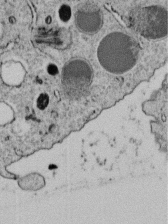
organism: C. elegans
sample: C. elegans embryo early stage